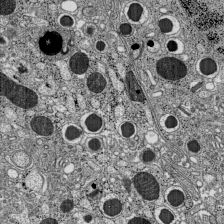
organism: C57BL Mouse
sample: Pancreatic islet